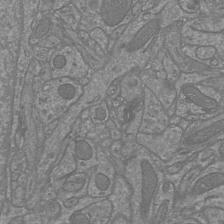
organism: Mouse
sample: Cortical neurons